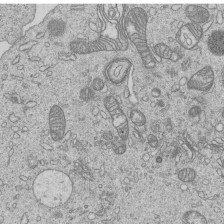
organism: Human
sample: MDA-MB-231 cells